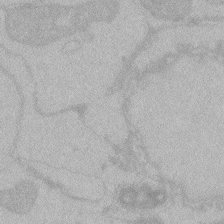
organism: Zebrafish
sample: Macrophage infected with Toxoplasma gondii